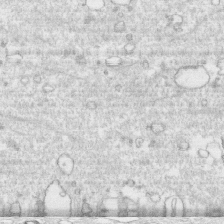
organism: Human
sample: CRL-1474